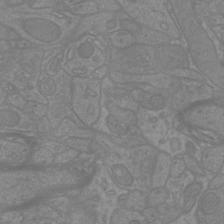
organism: Mouse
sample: Cortical neurons